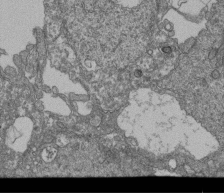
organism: Human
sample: Retinal organoid Rod and Cone cells